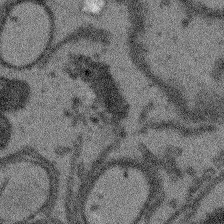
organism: Arabidopsis thaliana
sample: Root tip